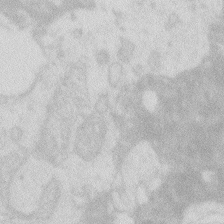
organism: Zebrafish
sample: Macrophage